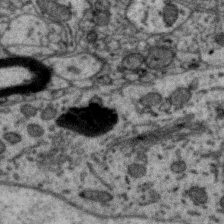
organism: Zebra finch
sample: Brain